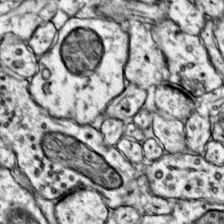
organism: Mouse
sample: Primary visual cortex